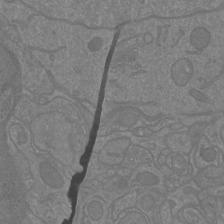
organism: Mouse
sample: Cortical neurons